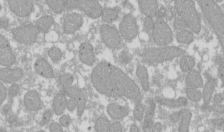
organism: Xenopus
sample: Cilia; centrioles in frog embryo cells